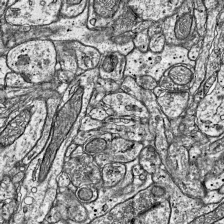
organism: Mouse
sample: Visual Cortex